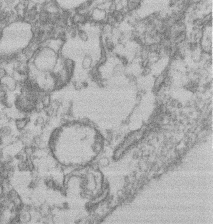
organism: Mouse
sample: T cell stromal cell synapse